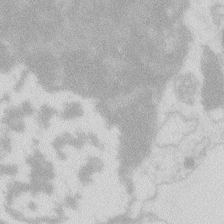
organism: Zebrafish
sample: Macrophage